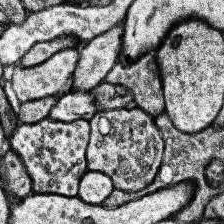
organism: Human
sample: Temporal Lobe